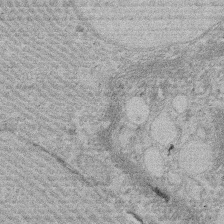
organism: Rat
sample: Salivary granule